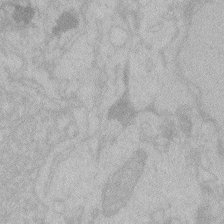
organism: Zebrafish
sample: Macrophage infected with Toxoplasma gondii